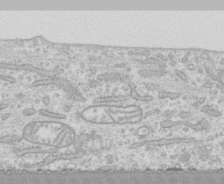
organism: Human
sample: CRL-1474